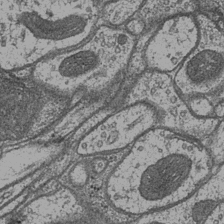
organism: Drosophila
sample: Optic medulla